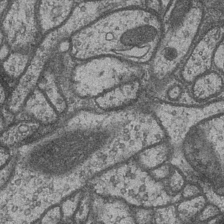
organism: Drosophila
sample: Optic medulla